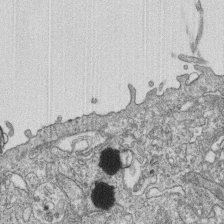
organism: Human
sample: HeLa cell HIV synapse